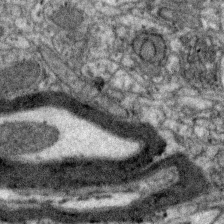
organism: Zebra finch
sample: Brain